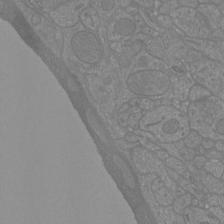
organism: Mouse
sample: Cortical neurons